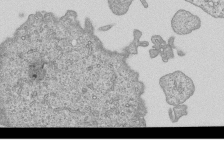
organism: Human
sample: MDA-MB-231 cells